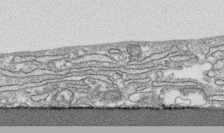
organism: Human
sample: CRL-1474